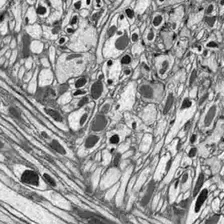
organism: Drosophila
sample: Optic lobe